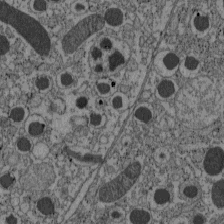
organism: C57BL Mouse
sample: Pancreatic islet